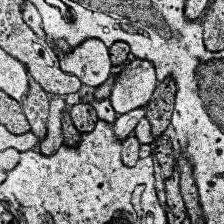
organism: Human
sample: Temporal Lobe